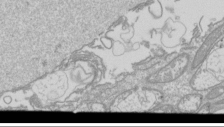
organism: Drosophila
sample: Cell division; meiosis; drosophila spermatocytes